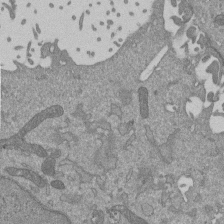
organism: Mouse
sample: ED-1 cell nuclei; centrioles